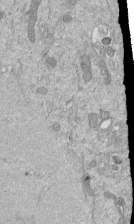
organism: Mouse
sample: ED-1 cell nuclei; centrioles